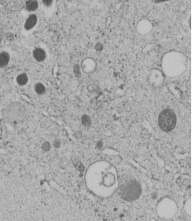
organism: C. elegans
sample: C. elegans embryo early stage